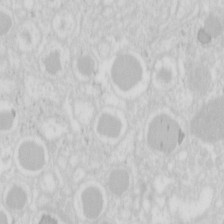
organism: Mouse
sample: Pancreas